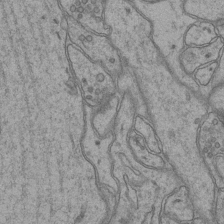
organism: Mouse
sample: CA1 Hippocampus